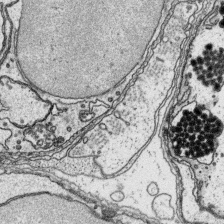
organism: Platynereis dumerilii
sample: Parapodia